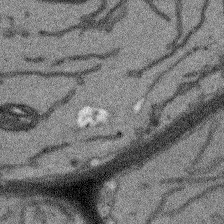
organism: Arabidopsis thaliana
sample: Root tip